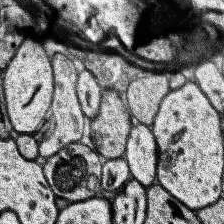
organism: Human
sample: Temporal Lobe